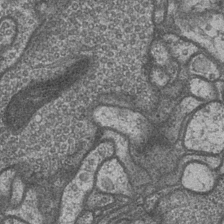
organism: Drosophila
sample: Optic medulla